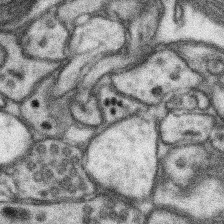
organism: Mouse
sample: Somatosensory cortex neuropil